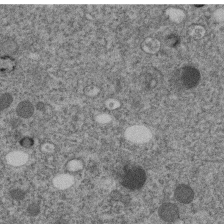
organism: C. elegans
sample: C. elegans embryo early stage